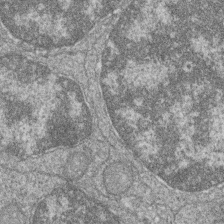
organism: Zebrafish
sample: Cilia; retinal pigment epithelium